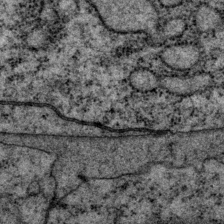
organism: P. pacificus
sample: Pharynx